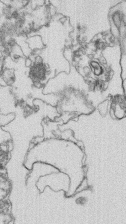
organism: Human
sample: HeLa cell HIV synapse